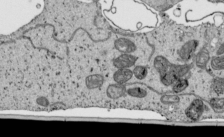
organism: Human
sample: Mitochondria in HCT116 cells